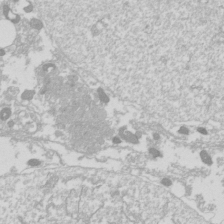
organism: Drosophila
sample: Cell division; meiosis; drosophila spermatocytes